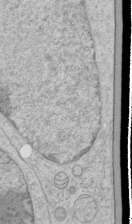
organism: Human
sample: Mitochondria in HCT116 cells